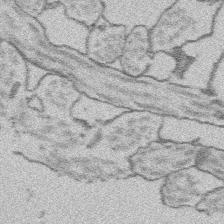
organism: Platynereis dumerilii